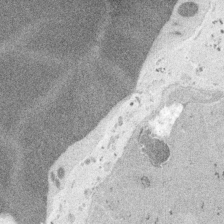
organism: Embia sp.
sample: Silk gland